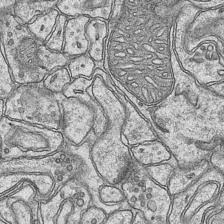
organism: Mouse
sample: CA1 Hippocampus